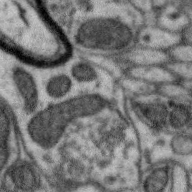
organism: Zebra finch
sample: Brain